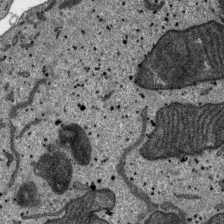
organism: Human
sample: Lung epithelial cells, uninfected (mock) control